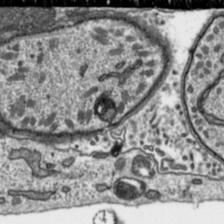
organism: Toxoplasma gondii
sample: Parasites in a vacuole inside a host cell